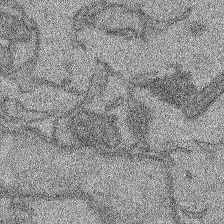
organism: Human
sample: HeLa cells